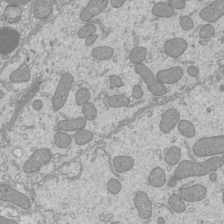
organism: Mouse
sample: Cilia; mouse epididymis